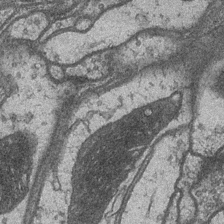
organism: Drosophila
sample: Optic medulla